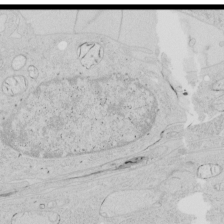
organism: Human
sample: Mitochondria in HCT116 cells